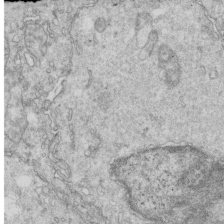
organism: Mouse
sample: Multiciliated cells